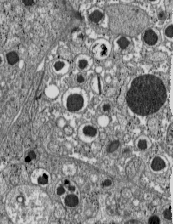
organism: C57BL Mouse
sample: Pancreatic islet